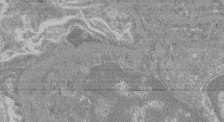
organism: Mouse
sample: Glomerulus